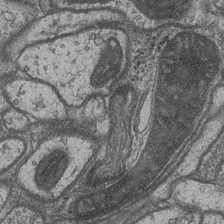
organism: Drosophila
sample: Optic medulla